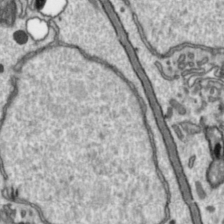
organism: Toxoplasma gondii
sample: Parasites in a vacuole inside a host cell